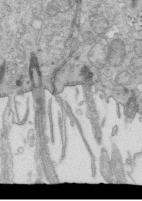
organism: Mouse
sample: Multiciliated cells